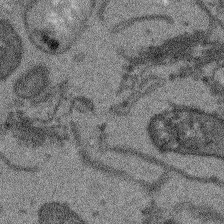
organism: Arabidopsis thaliana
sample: Root tip